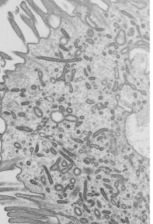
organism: Mouse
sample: Mouse epididymis efferent ductule cilia